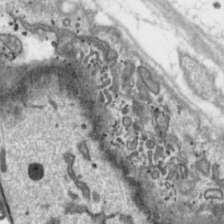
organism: Toxoplasma gondii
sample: Parasites in a vacuole inside a host cell